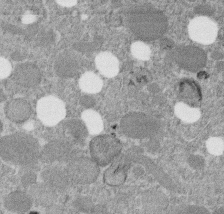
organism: C. elegans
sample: C. elegans embryo early stage